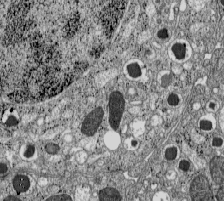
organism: C57BL Mouse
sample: Pancreatic islet